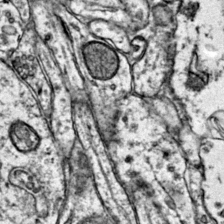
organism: Mouse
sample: Primary visual cortex